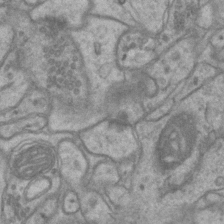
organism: Mouse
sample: CA1 Hippocampus